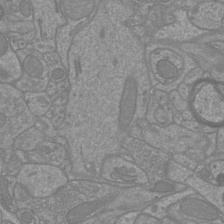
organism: Mouse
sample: Cortical neurons